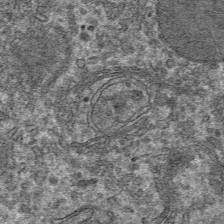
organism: Mouse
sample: Mouse hepatocytes